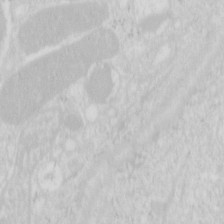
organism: Mouse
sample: Pancreas